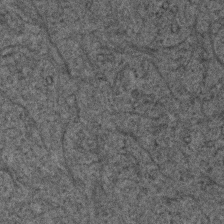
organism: Human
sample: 1205lu cells